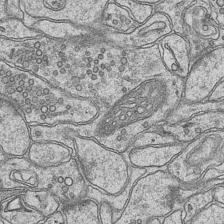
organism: Mouse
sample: CA1 Hippocampus